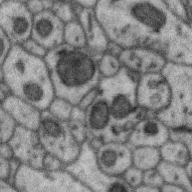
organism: Zebra finch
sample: Brain